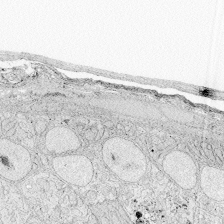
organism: Zebrafish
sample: Whole-Brain